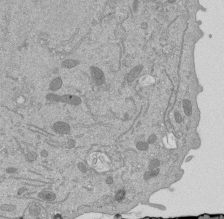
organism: Mouse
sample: ED-1 cell nuclei; centrioles